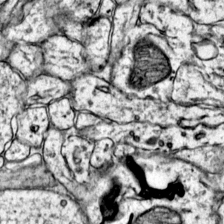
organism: Mouse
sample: Primary visual cortex